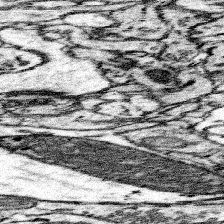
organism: Mouse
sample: Somatosensory cortex neuropil